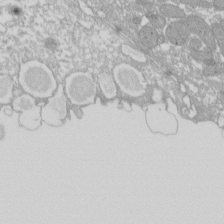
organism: Xenopus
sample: Cilia; centrioles in frog embryo cells